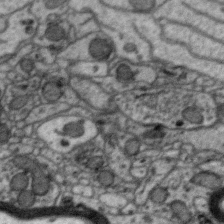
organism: Zebra finch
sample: Brain